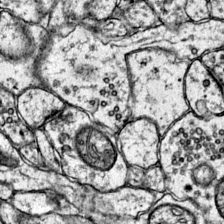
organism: Mouse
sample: Primary visual cortex